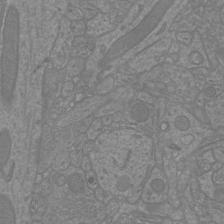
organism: Mouse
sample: Cortical neurons